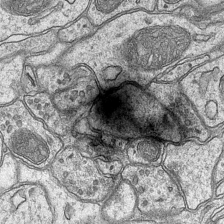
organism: Mouse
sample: CA1 Hippocampus